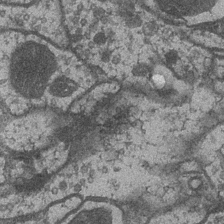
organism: Drosophila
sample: Optic medulla